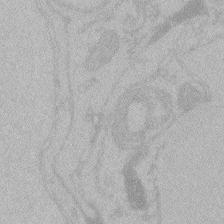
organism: Zebrafish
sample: Macrophage infected with Toxoplasma gondii